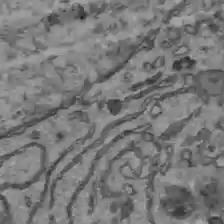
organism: C57BL Mouse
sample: Liver